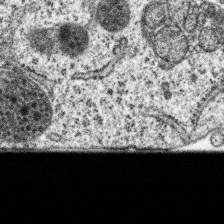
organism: Human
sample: HeLa cells